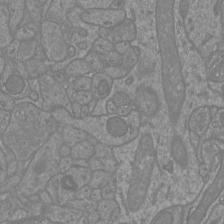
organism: Mouse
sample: Cortical neurons